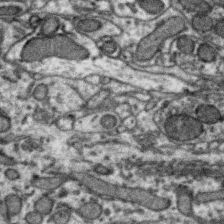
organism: Zebra finch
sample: Brain